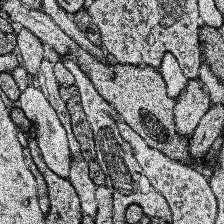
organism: Human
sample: Temporal Lobe